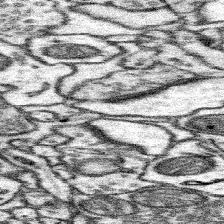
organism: Mouse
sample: Somatosensory cortex neuropil